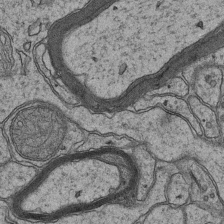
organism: Mouse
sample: CA1 Hippocampus